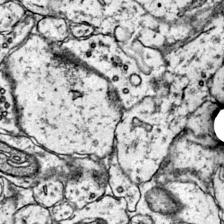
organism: Mouse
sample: Primary visual cortex